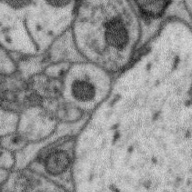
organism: Zebra finch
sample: Brain